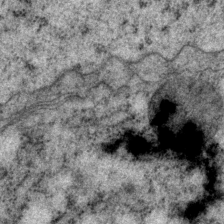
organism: P. pacificus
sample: Pharynx